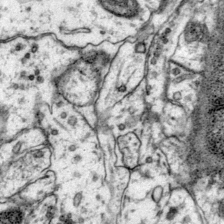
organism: Mouse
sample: Primary visual cortex